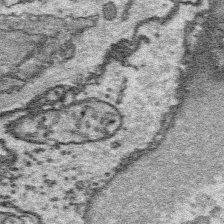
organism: Platynereis dumerilii